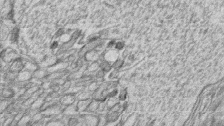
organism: Zebrafish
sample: synaptic ribbons in rod cells and cone cells